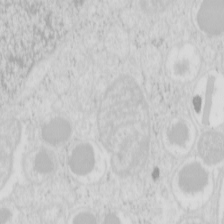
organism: Mouse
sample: Pancreas